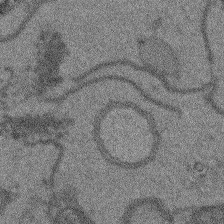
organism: Arabidopsis thaliana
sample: Root tip